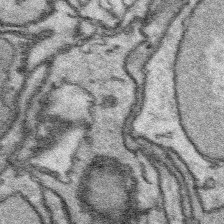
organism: Platynereis dumerilii